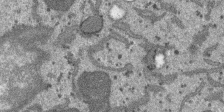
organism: Human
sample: Lung epithelial cells infected with SARS-CoV-2